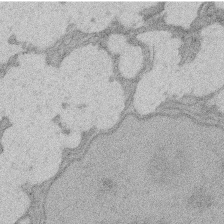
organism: Rat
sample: Salivary granule